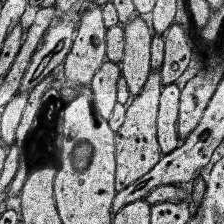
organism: Human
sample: Temporal Lobe